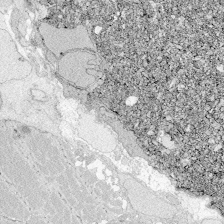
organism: Zebrafish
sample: Whole-Brain